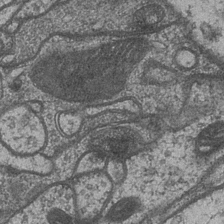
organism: Drosophila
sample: Optic medulla